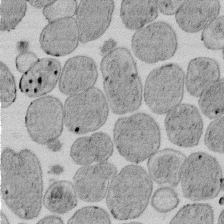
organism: E. coli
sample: Bacterial nucleoid